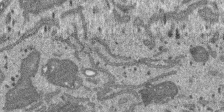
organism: Human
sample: Lung epithelial cells infected with SARS-CoV-2